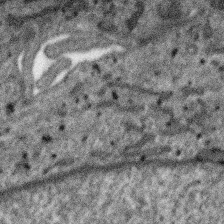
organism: Human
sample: Lung epithelial cells infected with SARS-CoV-2